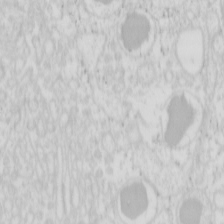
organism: Mouse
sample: Pancreas